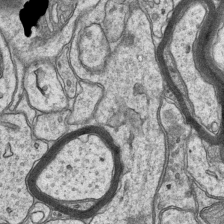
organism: Mouse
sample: CA1 Hippocampus